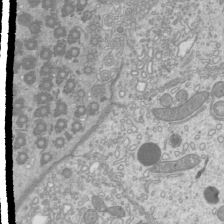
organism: Mouse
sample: Cilia; mouse epididymis